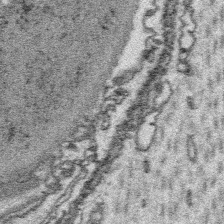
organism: Platynereis dumerilii